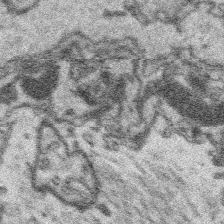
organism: Platynereis dumerilii